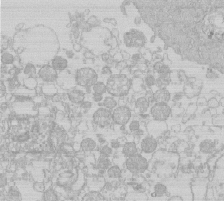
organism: Human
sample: Macrophage cells